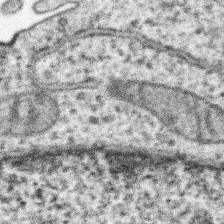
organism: Human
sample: HeLa cells